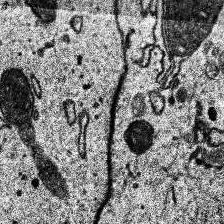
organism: Human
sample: Temporal Lobe